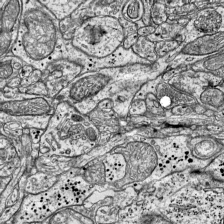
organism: Mouse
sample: Visual Cortex